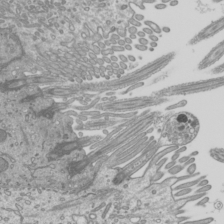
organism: Mouse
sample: Cilia; mouse epididymis